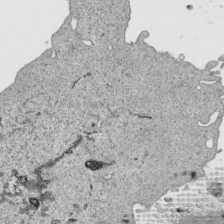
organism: Human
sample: Mitochondria in HCT116 cells